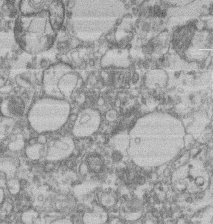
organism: Mouse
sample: T cell stromal cell synapse